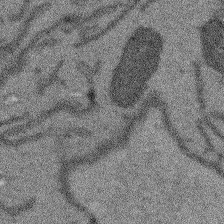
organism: Arabidopsis thaliana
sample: Root tip